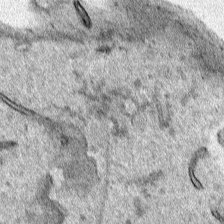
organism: Human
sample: Mitochondria in HCT116 cells